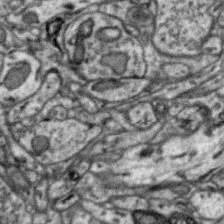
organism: Zebra finch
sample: Brain